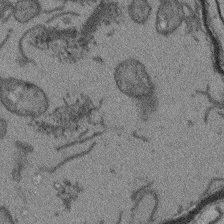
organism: Arabidopsis thaliana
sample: Root tip